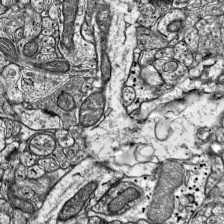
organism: Mouse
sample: Visual Cortex